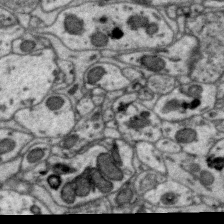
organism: Zebra finch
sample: Brain